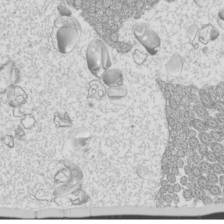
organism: Mouse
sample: Cilia; mouse epididymis